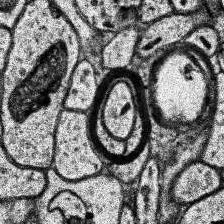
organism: Human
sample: Temporal Lobe